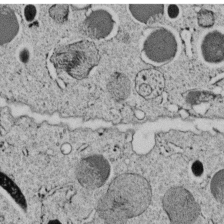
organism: C. elegans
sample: C. elegans embryo early stage